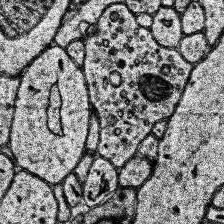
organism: Human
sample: Temporal Lobe